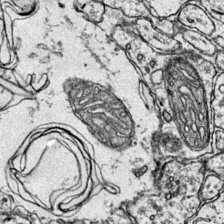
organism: Mouse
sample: Primary visual cortex